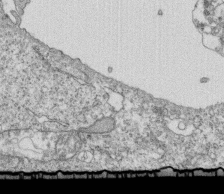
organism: Human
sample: HeLa cell HIV synapse